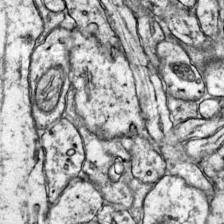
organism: Mouse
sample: Primary visual cortex